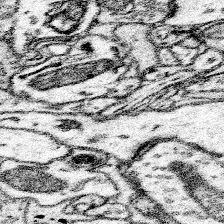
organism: Mouse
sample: Somatosensory cortex neuropil